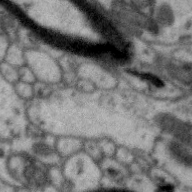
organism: Zebra finch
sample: Brain